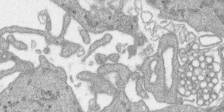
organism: Human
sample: Lung epithelial cells infected with SARS-CoV-2